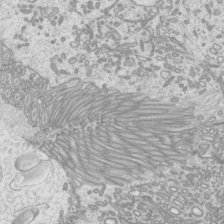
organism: Mouse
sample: Cilia; mouse epididymis